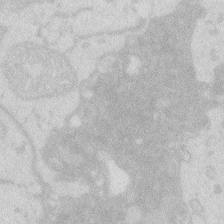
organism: Zebrafish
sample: Macrophage